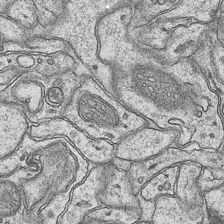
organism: Mouse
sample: CA1 Hippocampus